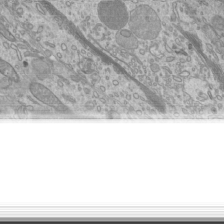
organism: Mouse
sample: Cilia; mouse epididymis